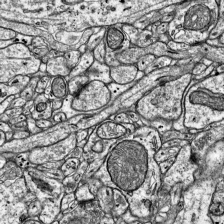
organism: Mouse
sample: Visual Cortex